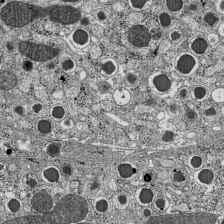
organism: C57BL Mouse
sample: Pancreatic islet